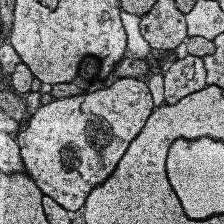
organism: Human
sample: Temporal Lobe